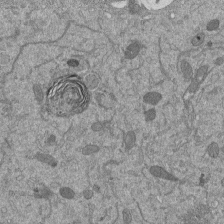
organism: Mouse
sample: ED-1 cell nuclei; centrioles